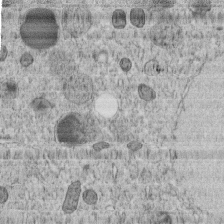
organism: C. elegans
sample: C. elegans embryo early stage